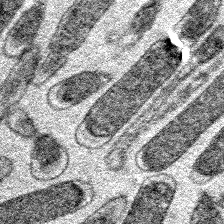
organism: E. coli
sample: E. Coli Bacteria